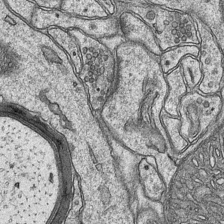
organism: Mouse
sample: CA1 Hippocampus